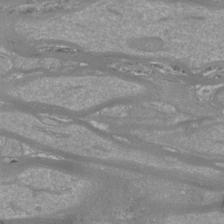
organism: Mouse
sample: Cortical neurons